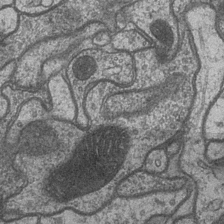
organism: Drosophila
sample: Optic medulla